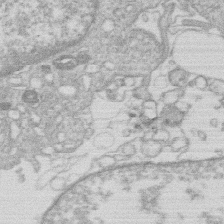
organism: Human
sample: Macrophage cells